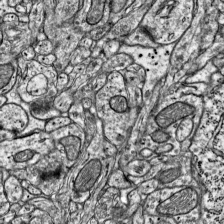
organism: Mouse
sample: Visual Cortex